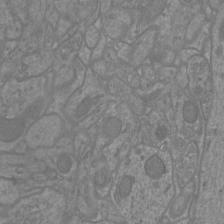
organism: Mouse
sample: Cortical neurons